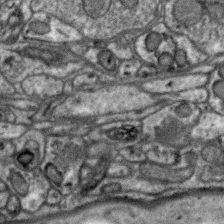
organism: Zebra finch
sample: Brain